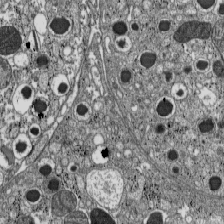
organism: C57BL Mouse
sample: Pancreatic islet